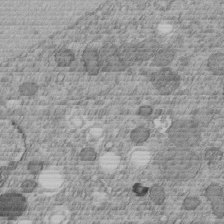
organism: C. elegans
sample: C. elegans embryo early stage